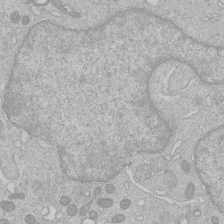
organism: Human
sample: Macrophage cells